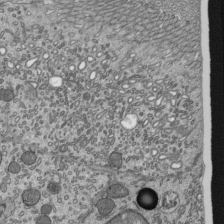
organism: Mouse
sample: Mouse epididymis efferent ductule cilia